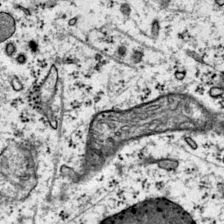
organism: Mouse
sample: Primary visual cortex